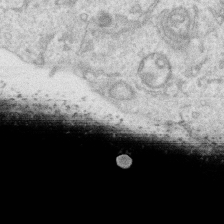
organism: Human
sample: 1205lu cells